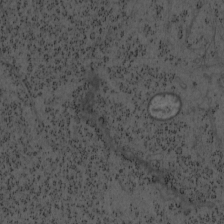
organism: Mouse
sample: OT-I killer T cells with ID8 ovarian cancer cells